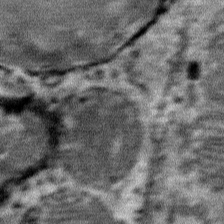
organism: Mouse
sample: Mouse Salivary gland